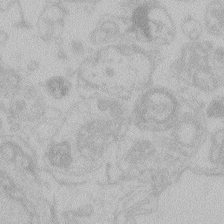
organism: Zebrafish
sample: Macrophage infected with Toxoplasma gondii